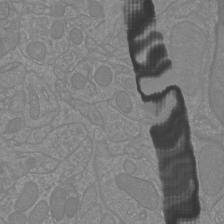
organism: Mouse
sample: Cortical neurons